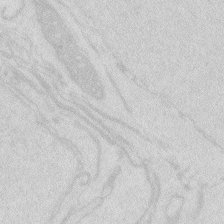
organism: Zebrafish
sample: Macrophage